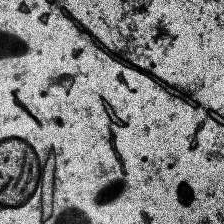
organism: Human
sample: Temporal Lobe